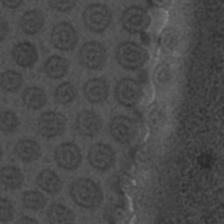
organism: C. elegans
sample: C. elegans embryo